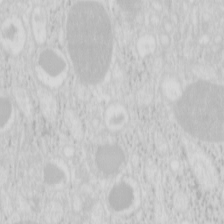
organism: Mouse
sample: Pancreas